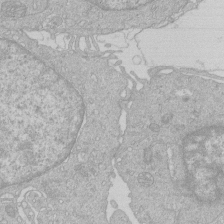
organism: Human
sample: Macrophage cells